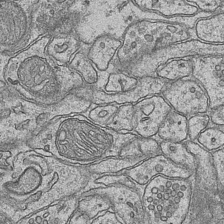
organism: Mouse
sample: CA1 Hippocampus